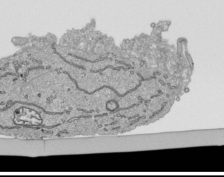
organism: Human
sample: Mitochondria in HCT116 cells